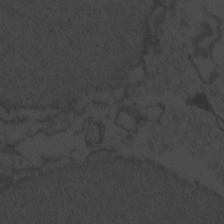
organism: Zebrafish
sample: Macrophage infected with Toxoplasma gondii